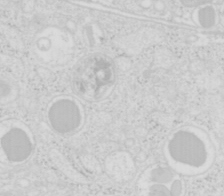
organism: Mouse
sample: Pancreas